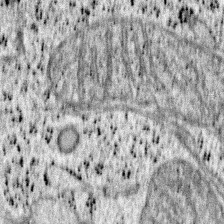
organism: Human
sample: HeLa cells